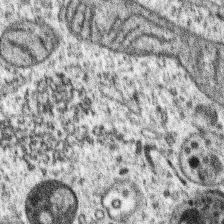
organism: Human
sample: HeLa cells